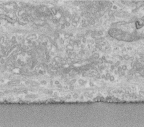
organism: Human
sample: Centriole in fibroblast cells